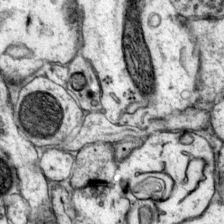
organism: Mouse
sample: Primary visual cortex